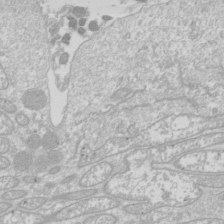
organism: Drosophila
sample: Cell division; meiosis; drosophila spermatocytes